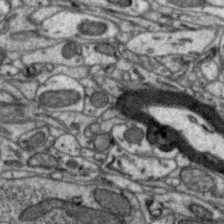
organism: Zebra finch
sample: Brain